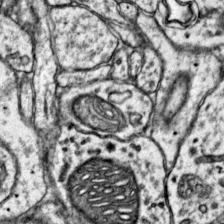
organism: Mouse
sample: Primary visual cortex